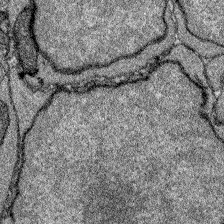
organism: Zebrafish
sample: Larval olfactory bulb